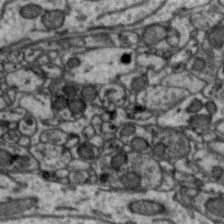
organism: Zebra finch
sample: Brain